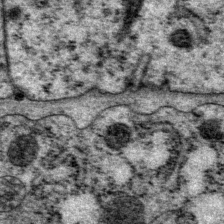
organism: P. pacificus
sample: Pharynx